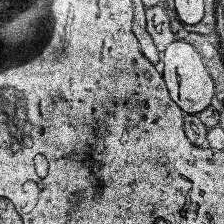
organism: Human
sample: Temporal Lobe